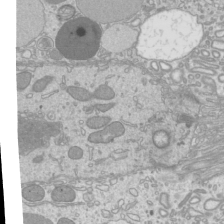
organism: Mouse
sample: Cilia; mouse epididymis